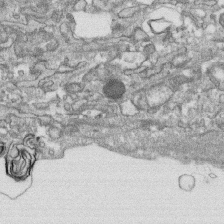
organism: Human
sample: CRL-1474